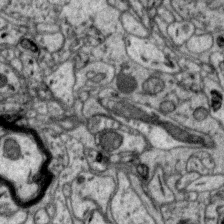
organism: Zebra finch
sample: Brain